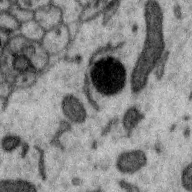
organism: Zebra finch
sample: Brain